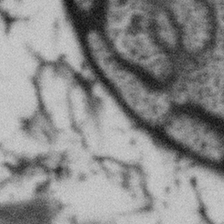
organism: Gemmata obscuriglobus